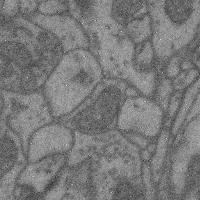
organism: Mouse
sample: Cerebral cortex